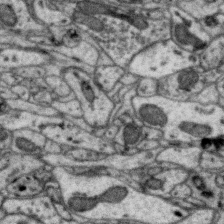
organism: Zebra finch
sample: Brain